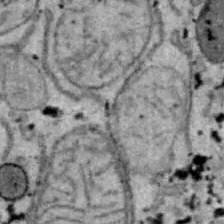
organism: Mouse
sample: Liver from an obese (ob/ob) mouse